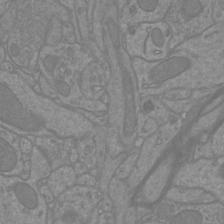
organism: Mouse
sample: Cortical neurons